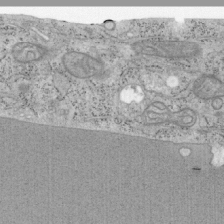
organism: Human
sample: HeLa cells